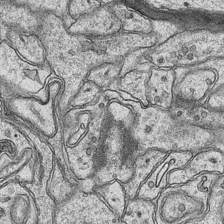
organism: Mouse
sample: CA1 Hippocampus